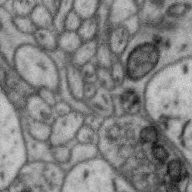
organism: Zebra finch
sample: Brain